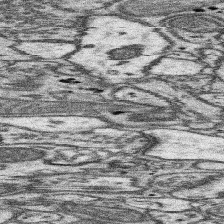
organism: Mouse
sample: Somatosensory cortex neuropil